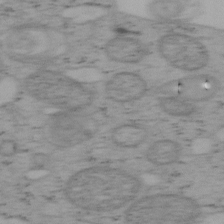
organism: Mouse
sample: OT-I killer T cells with ID8 ovarian cancer cells